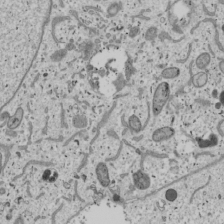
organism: Human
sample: Mitochondria in U2OS cells